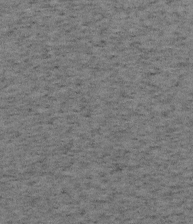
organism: Mouse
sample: OT-I killer T cells with ID8 ovarian cancer cells